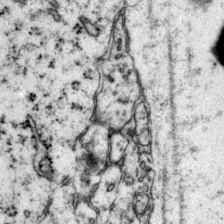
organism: Mouse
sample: Primary visual cortex